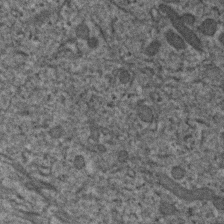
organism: Human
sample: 1205lu cells